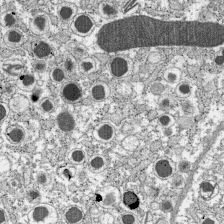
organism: C57BL Mouse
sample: Pancreatic islet